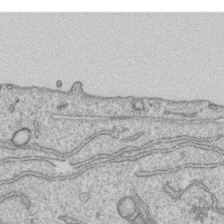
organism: Human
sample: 1205lu cells